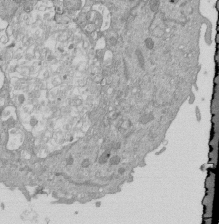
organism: Mouse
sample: ED-1 cell nuclei; centrioles